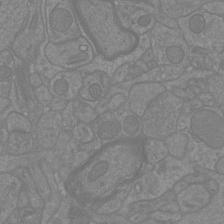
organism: Mouse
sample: Cortical neurons